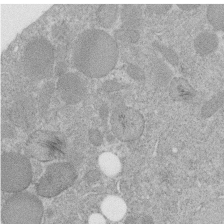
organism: C. elegans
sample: C. elegans embryo early stage